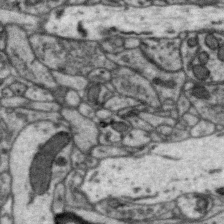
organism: Zebra finch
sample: Brain